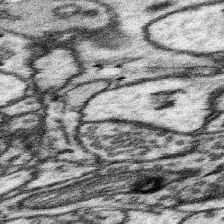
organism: Mouse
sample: Somatosensory cortex neuropil